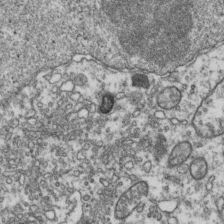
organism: Human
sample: Activated Jurkat CD4+ T cells